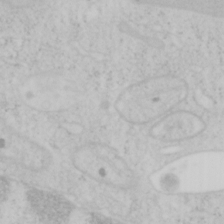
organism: Mouse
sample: OT-I killer T cells with ID8 ovarian cancer cells